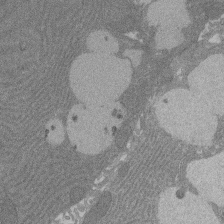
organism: Rat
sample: Salivary granule